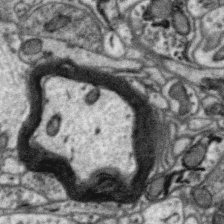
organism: Zebra finch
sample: Brain